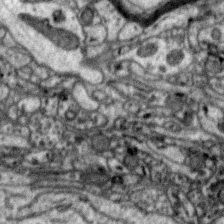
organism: Zebra finch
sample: Brain